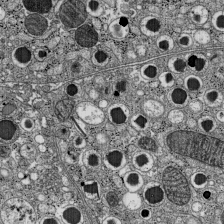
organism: C57BL Mouse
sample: Pancreatic islet